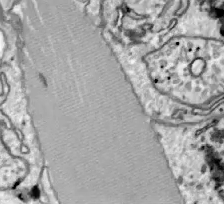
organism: Zebrafish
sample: Actinotrichia fibers